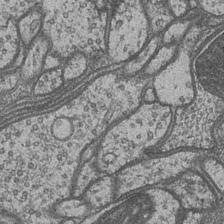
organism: Drosophila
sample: Optic medulla